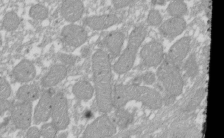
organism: Xenopus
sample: Cilia; centrioles in frog embryo cells